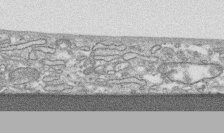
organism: Human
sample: CRL-1474